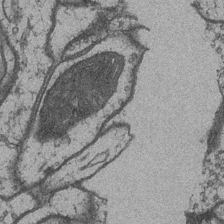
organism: Drosophila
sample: Optic medulla